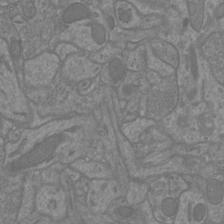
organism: Mouse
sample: Cortical neurons